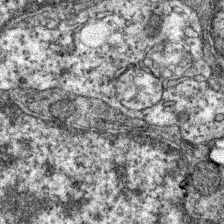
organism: Zebrafish